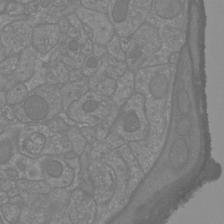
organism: Mouse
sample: Cortical neurons